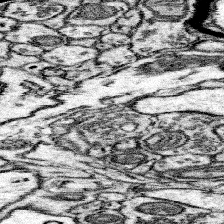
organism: Mouse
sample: Somatosensory cortex neuropil